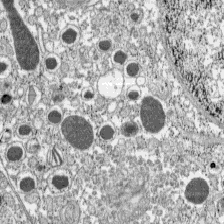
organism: C57BL Mouse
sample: Pancreatic islet